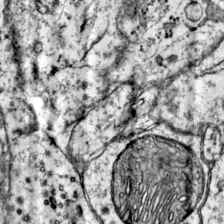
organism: Mouse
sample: Primary visual cortex